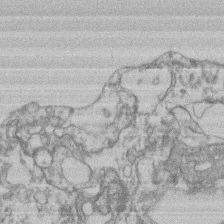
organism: Mouse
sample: T cell stromal cell synapse